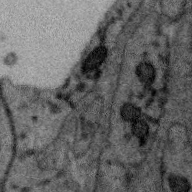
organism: Zebra finch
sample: Brain